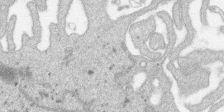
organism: Human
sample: Lung epithelial cells infected with SARS-CoV-2